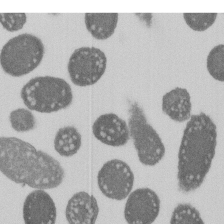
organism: E. coli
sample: Bacterial nucleoid